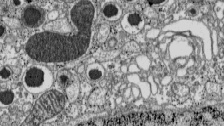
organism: C57BL Mouse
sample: Pancreatic islet